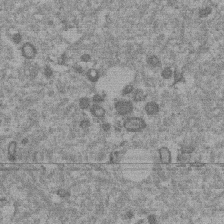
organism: Mouse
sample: Dividing mouse embryo 1 cell stage